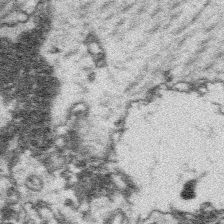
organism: Platynereis dumerilii